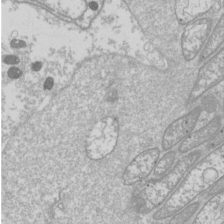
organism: Drosophila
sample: Cell division; meiosis; drosophila spermatocytes